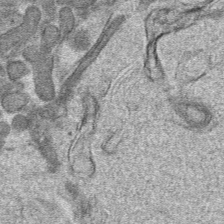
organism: Mouse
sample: Mouse hepatocytes